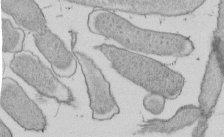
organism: E. coli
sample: Bacterial nucleoid